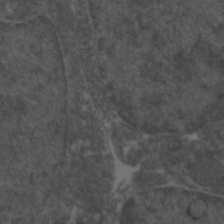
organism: Zebrafish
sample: Zebrafish embryo